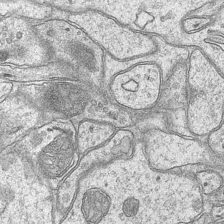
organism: Mouse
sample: CA1 Hippocampus